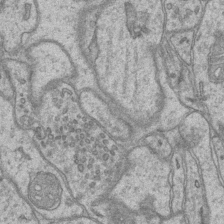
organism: Mouse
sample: CA1 Hippocampus